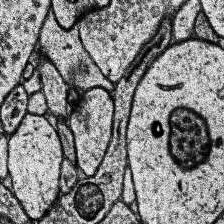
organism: Human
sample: Temporal Lobe